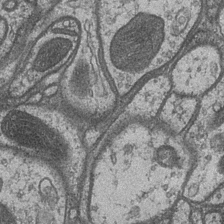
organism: Drosophila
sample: Optic medulla